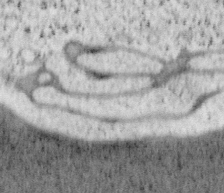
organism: Mouse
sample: OT-I killer T cells with ID8 ovarian cancer cells